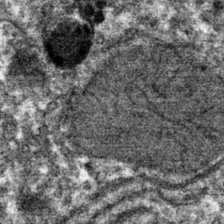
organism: Mouse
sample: Mouse hepatocytes